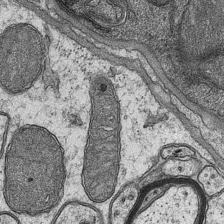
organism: Mouse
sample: CA1 Hippocampus